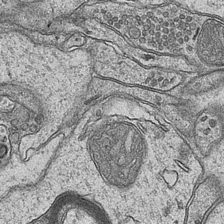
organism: Mouse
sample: CA1 Hippocampus